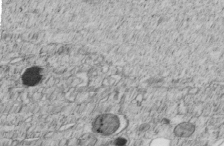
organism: C. elegans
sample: C. elegans embryo early stage